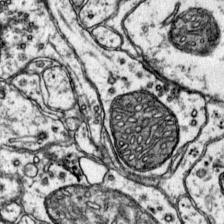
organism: Mouse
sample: Primary visual cortex